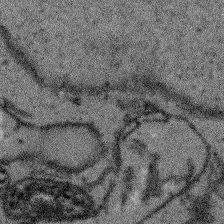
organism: Arabidopsis thaliana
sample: Root tip